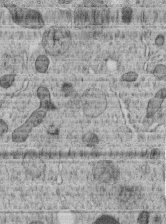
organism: C. elegans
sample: C. elegans embryo early stage